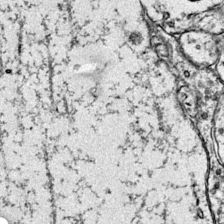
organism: Mouse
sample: Primary visual cortex